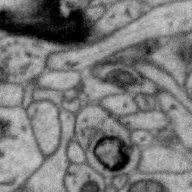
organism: Zebra finch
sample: Brain